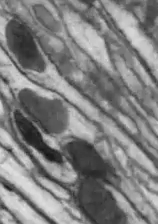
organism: Drosophila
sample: Optic lobe